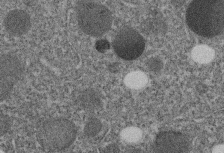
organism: C. elegans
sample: C. elegans embryo early stage